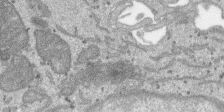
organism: Human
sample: Lung epithelial cells infected with SARS-CoV-2